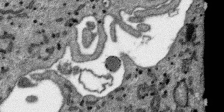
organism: Human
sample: Lung epithelial cells, uninfected (mock) control